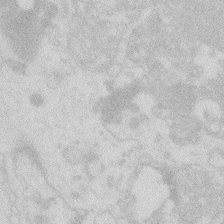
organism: Zebrafish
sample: Macrophage